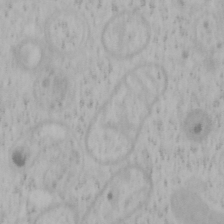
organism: Mouse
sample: OT-I killer T cells with ID8 ovarian cancer cells